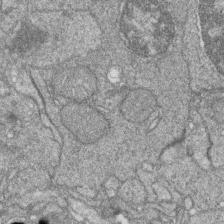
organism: Zebrafish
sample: Cilia; retinal pigment epithelium